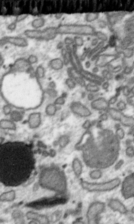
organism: Toxoplasma gondii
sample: Parasites in a vacuole inside a host cell